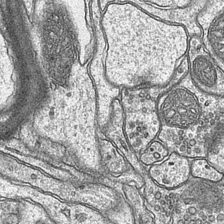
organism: Mouse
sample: CA1 Hippocampus